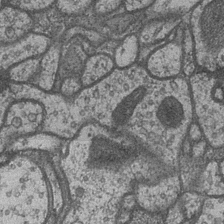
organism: Drosophila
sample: Optic medulla